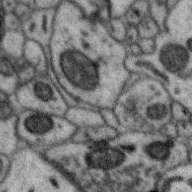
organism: Zebra finch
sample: Brain